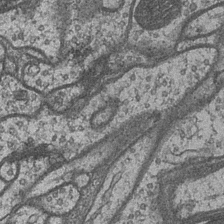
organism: Drosophila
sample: Optic medulla